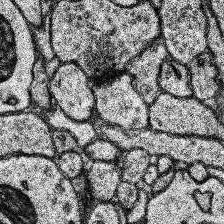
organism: Human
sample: Temporal Lobe